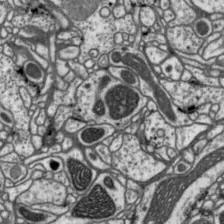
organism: Drosophila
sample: Protocerebral bridge